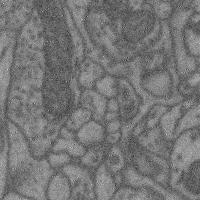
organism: Mouse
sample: Cerebral cortex